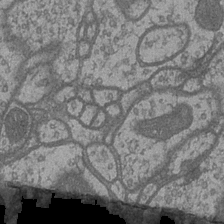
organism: Drosophila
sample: Optic medulla